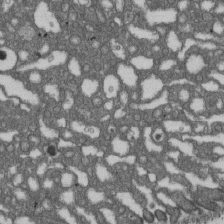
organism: Drosophila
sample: Nephrocyte